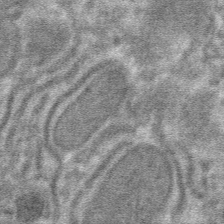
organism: Mouse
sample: Mouse hepatocytes